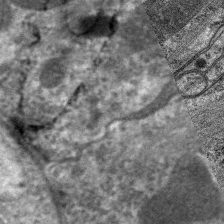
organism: C. elegans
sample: Pharynx